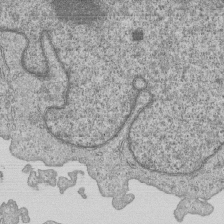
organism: Human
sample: MDA-MB-231 cells